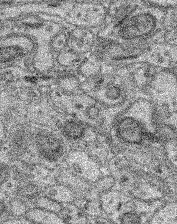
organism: Mouse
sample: Retina